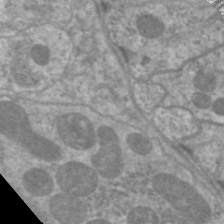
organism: C. elegans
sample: Pharynx